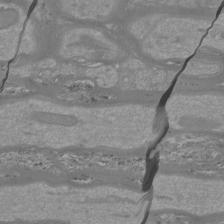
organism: Mouse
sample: Cortical neurons